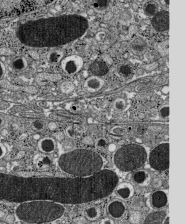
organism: C57BL Mouse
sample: Pancreatic islet